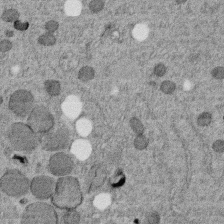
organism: C. elegans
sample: C. elegans embryo early stage